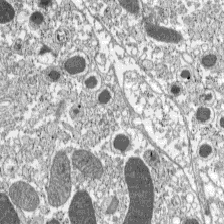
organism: C57BL Mouse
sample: Pancreatic islet